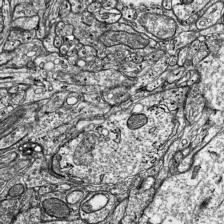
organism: Mouse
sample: Visual Cortex